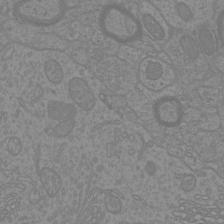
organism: Mouse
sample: Cortical neurons